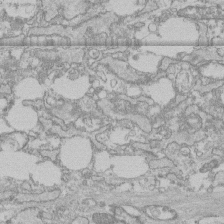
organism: Human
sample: CRL-1474